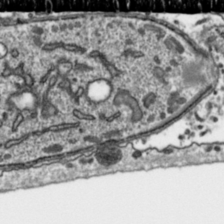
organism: Toxoplasma gondii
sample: Parasites in a vacuole inside a host cell